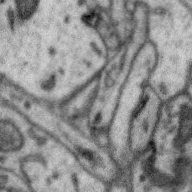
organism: Zebra finch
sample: Brain